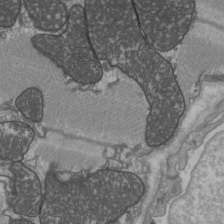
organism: C57BL Mouse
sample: Heart